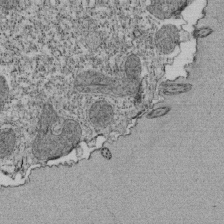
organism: Tetrahymena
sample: Cilia in tetrahymena